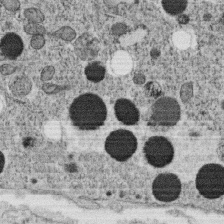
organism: C. elegans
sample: C. elegans oocyte; sperm cells